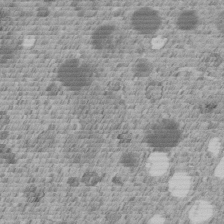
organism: C. elegans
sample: C. elegans embryo early stage